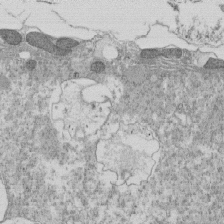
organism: Tetrahymena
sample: Cilia in tetrahymena